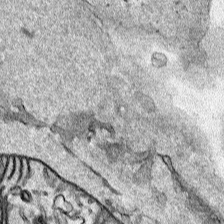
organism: Human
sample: Mitochondria in HCT116 cells